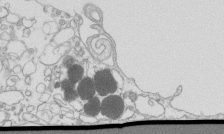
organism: Mouse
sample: Macrophages